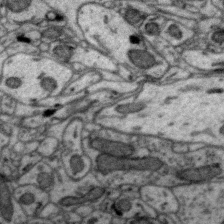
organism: Zebra finch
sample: Brain